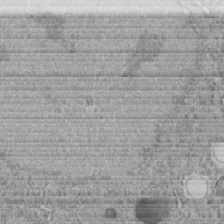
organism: C. elegans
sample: C. elegans embryo early stage